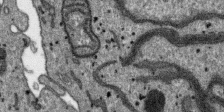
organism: Human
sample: Lung epithelial cells, uninfected (mock) control